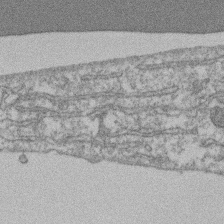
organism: Mouse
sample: T cell stromal cell synapse